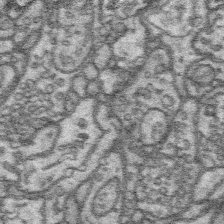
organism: Platynereis dumerilii